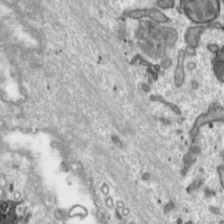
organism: Toxoplasma gondii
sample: Parasites in a vacuole inside a host cell